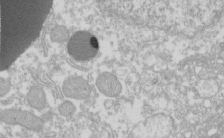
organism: Xenopus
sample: Cilia; centrioles in frog embryo cells